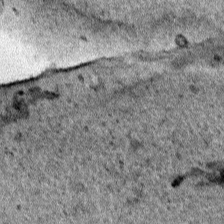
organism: Human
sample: Mitochondria in HCT116 cells